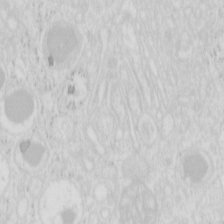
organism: Mouse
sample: Pancreas